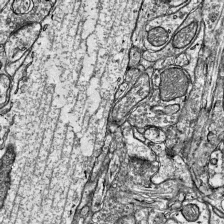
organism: Mouse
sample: Visual Cortex